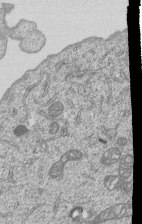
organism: Human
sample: MDA-MB-231 cells